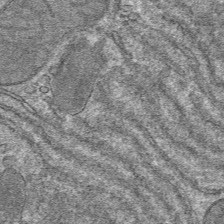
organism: Mouse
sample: Mouse hepatocytes